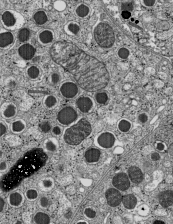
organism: C57BL Mouse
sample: Pancreatic islet